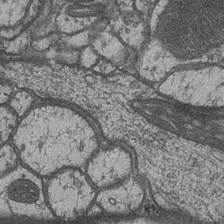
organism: Drosophila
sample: Optic medulla